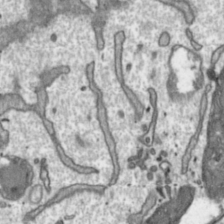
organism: Toxoplasma gondii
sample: Parasites in a vacuole inside a host cell